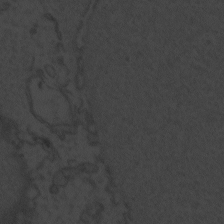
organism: Zebrafish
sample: Macrophage infected with Toxoplasma gondii